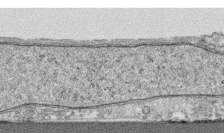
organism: Human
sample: CRL-1474